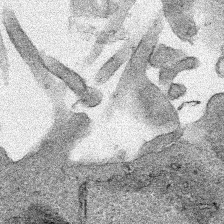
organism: Human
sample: Mitochondria in HCT116 cells